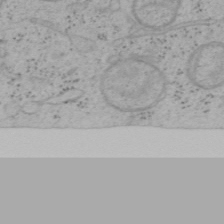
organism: Human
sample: HeLa cells